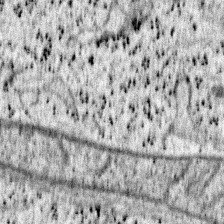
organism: Human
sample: HeLa cells